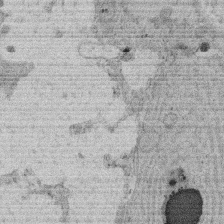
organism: Rat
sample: Salivary granule